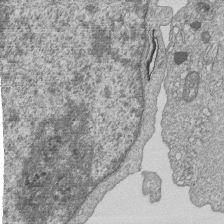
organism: Human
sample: MDA-MB-231 cells